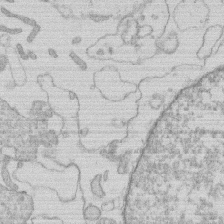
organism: Human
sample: Macrophage cells